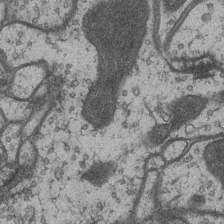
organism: Drosophila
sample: Optic medulla